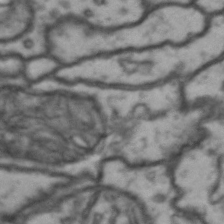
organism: Drosophila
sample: Brain